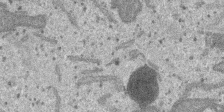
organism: Human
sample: Lung epithelial cells infected with SARS-CoV-2